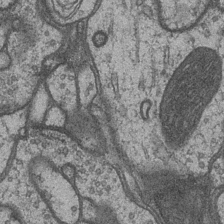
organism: Drosophila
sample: Optic medulla